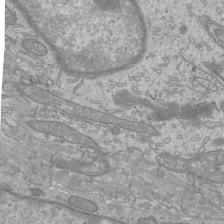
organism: Mouse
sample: Cilia; mouse epididymis